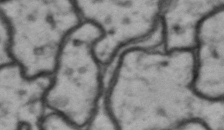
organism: Drosophila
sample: Brain